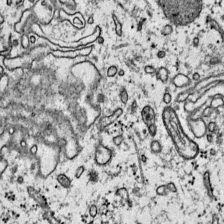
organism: Mouse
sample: Primary visual cortex